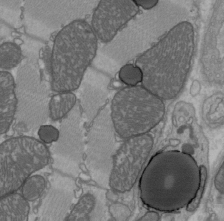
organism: C57BL Mouse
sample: Heart